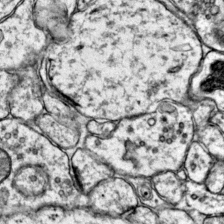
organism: Mouse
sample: Primary visual cortex